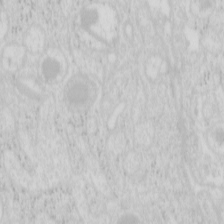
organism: Mouse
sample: Pancreas